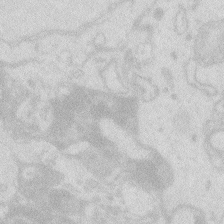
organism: Zebrafish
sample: Macrophage